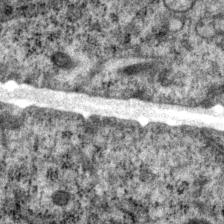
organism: P. pacificus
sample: Pharynx